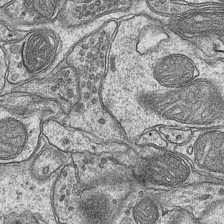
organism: Mouse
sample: CA1 Hippocampus